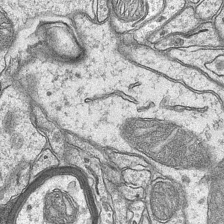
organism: Mouse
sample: CA1 Hippocampus